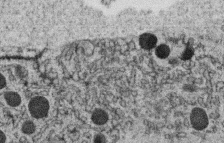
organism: C. elegans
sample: C. elegans oocyte; sperm cells